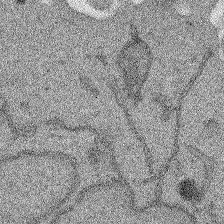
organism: Human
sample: HeLa cells